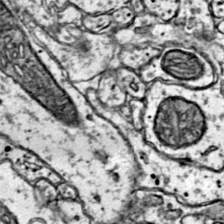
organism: Mouse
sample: Primary visual cortex